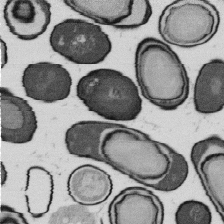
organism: B. subtilis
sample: Bacterial spore